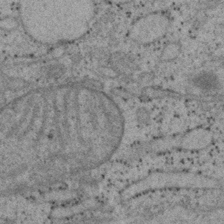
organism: Human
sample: HeLa cells